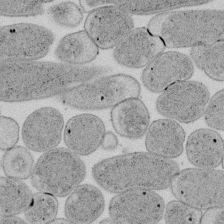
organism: E. coli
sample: Bacterial nucleoid